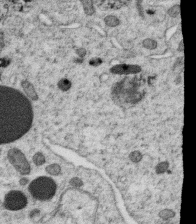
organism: C. elegans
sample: C. elegans oocyte; sperm cells